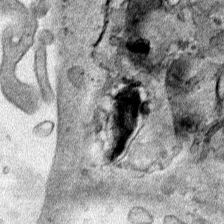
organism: Human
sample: Mitochondria in HCT116 cells